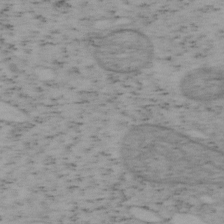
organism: Mouse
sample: OT-I killer T cells with ID8 ovarian cancer cells